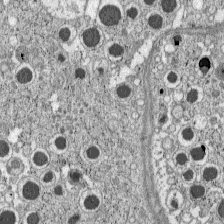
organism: C57BL Mouse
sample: Pancreatic islet